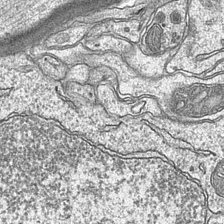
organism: Mouse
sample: CA1 Hippocampus